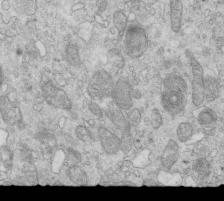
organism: Mouse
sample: Multiciliated cells